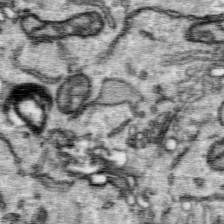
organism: Human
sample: HeLa cells